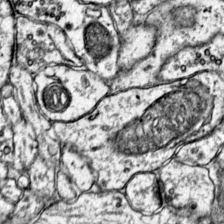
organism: Mouse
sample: Primary visual cortex